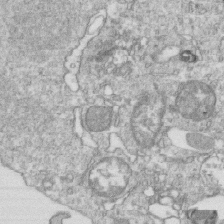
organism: Mouse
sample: Activated OT-1 CD8+ T cells